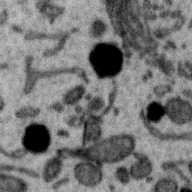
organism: Zebra finch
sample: Brain